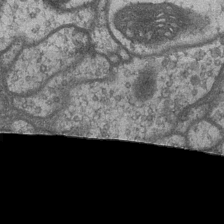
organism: Drosophila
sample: Optic medulla